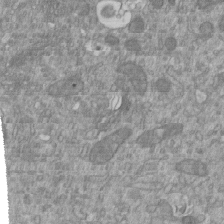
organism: Mouse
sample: ED-1 cell nuclei; centrioles